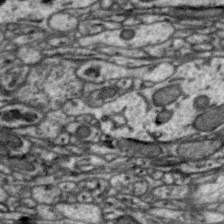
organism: Zebra finch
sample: Brain